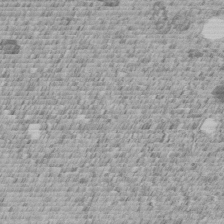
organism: C. elegans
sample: C. elegans embryo early stage